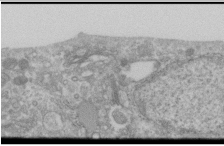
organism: Human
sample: Cilia; basal body in RPE cells